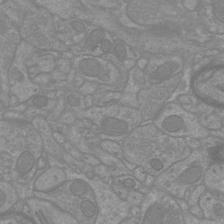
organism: Mouse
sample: Cortical neurons